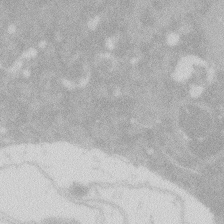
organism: Zebrafish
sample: Macrophage